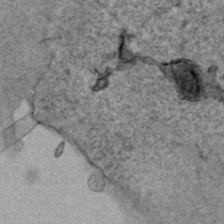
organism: Human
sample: Mitochondria in HCT116 cells